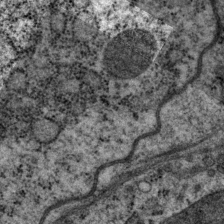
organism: P. pacificus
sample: Pharynx